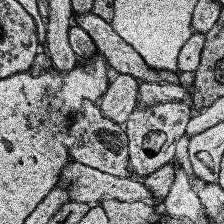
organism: Human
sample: Temporal Lobe